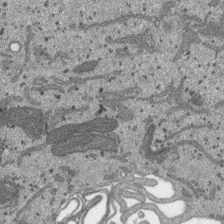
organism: Human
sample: Lung epithelial cells infected with SARS-CoV-2